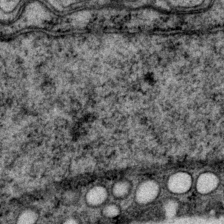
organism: P. pacificus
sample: Pharynx